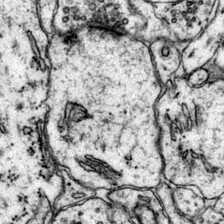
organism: Mouse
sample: Primary visual cortex